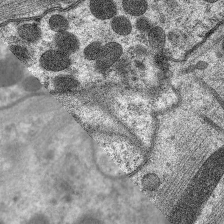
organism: C. elegans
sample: Pharynx